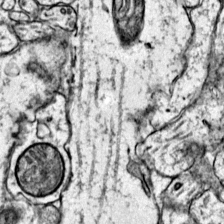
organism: Mouse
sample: Primary visual cortex